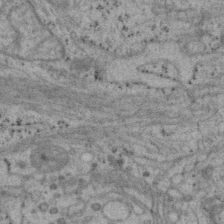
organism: Human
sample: HeLa cells